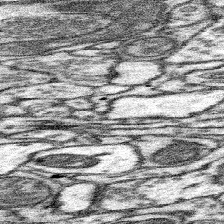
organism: Mouse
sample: Somatosensory cortex neuropil